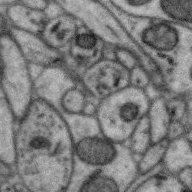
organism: Zebra finch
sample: Brain